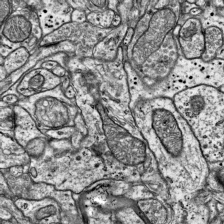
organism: Mouse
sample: Visual Cortex